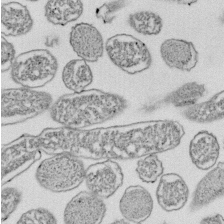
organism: E. coli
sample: Bacterial nucleoid